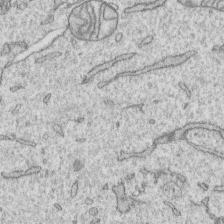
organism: Human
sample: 1205lu cells